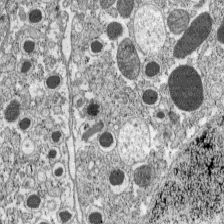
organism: C57BL Mouse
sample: Pancreatic islet